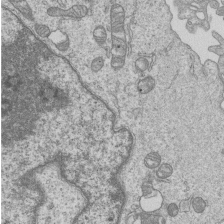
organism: Human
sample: MDA-MB-231 cells